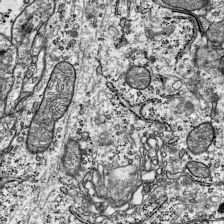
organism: Mouse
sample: Visual Cortex